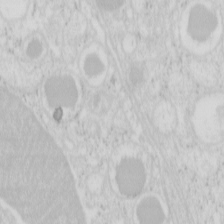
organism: Mouse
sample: Pancreas